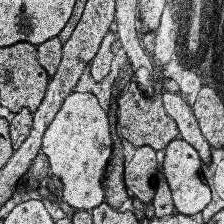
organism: Human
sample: Temporal Lobe